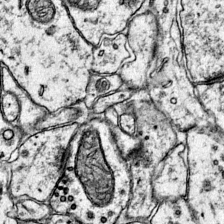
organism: Mouse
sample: Primary visual cortex